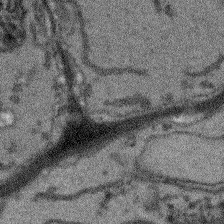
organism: Arabidopsis thaliana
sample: Root tip